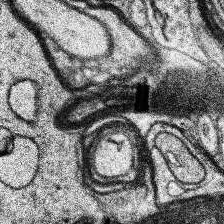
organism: Human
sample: Temporal Lobe